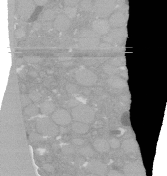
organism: C. elegans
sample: C. elegans oocyte; sperm cells